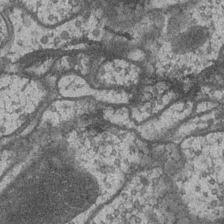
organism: Drosophila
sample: Optic medulla